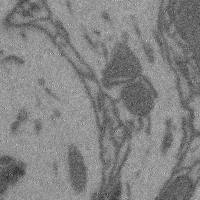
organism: Mouse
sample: Cerebral cortex